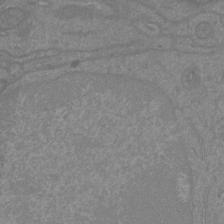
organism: Mouse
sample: Cortical neurons